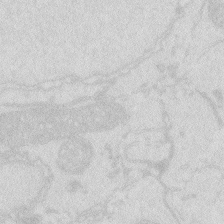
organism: Zebrafish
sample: Macrophage